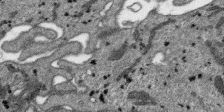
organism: Human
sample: Lung epithelial cells, uninfected (mock) control